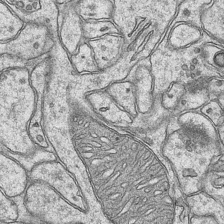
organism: Mouse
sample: CA1 Hippocampus